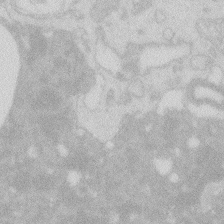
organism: Zebrafish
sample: Macrophage